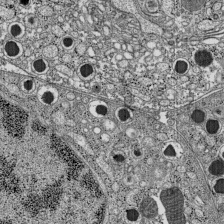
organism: C57BL Mouse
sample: Pancreatic islet